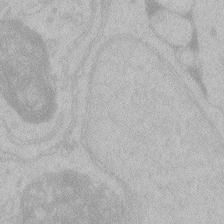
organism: Zebrafish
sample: Macrophage infected with Toxoplasma gondii